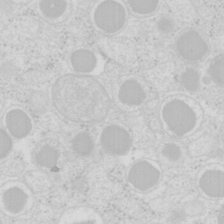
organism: Mouse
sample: Pancreas